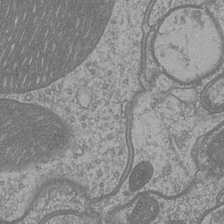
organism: Drosophila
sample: Optic medulla